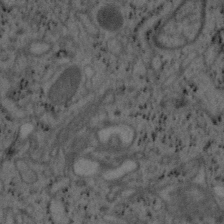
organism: Human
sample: HeLa cells